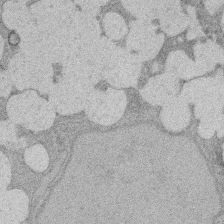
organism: Rat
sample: Salivary granule